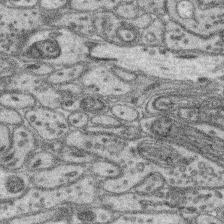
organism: Mouse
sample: Retina